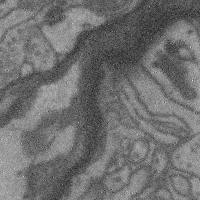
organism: Mouse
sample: Cerebral cortex